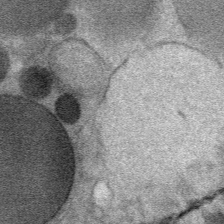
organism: Mouse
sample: Mouse Salivary gland